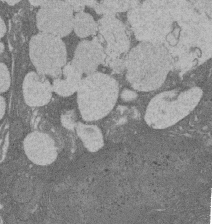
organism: Rat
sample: Salivary granule